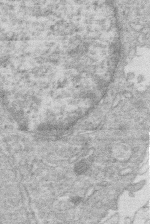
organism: Human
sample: Macrophage cells